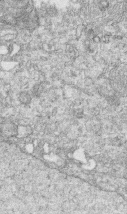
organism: Human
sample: HeLa cell HIV synapse